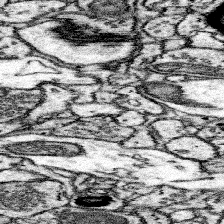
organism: Mouse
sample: Somatosensory cortex neuropil